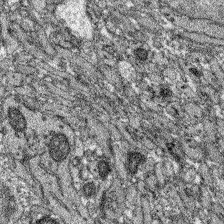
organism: Zebrafish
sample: Larval olfactory bulb